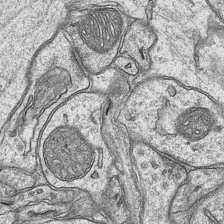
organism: Mouse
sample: CA1 Hippocampus